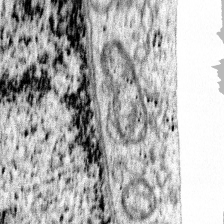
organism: Human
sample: HeLa cells